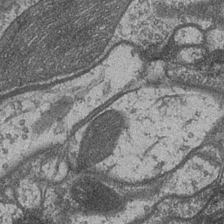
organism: Drosophila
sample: Optic medulla